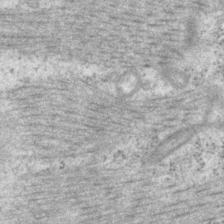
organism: P. pacificus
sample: Pharynx